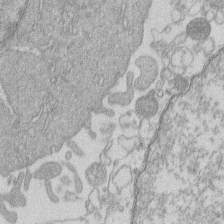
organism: Human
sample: Macrophage cells